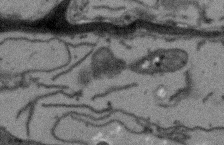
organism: Arabidopsis thaliana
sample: Root tip